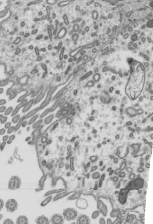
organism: Mouse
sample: Mouse epididymis efferent ductule cilia